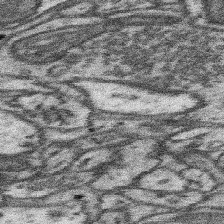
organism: Mouse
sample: Somatosensory cortex neuropil